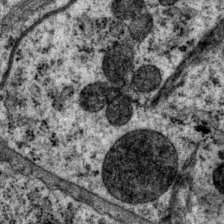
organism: P. pacificus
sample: Pharynx